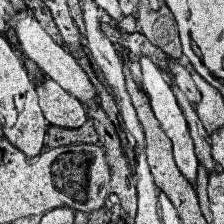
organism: Human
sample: Temporal Lobe